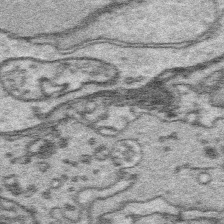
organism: Platynereis dumerilii